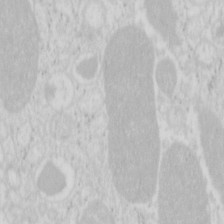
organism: Mouse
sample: Pancreas